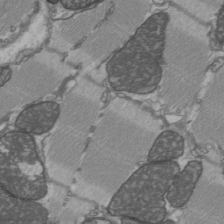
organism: C57BL Mouse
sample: Heart